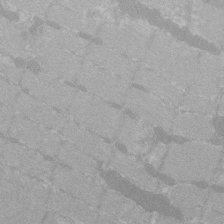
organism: C57BL Mouse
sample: Tibialis anterior muscle cell